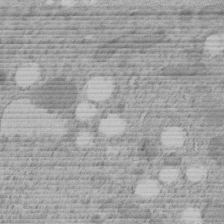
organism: C. elegans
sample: C. elegans embryo early stage